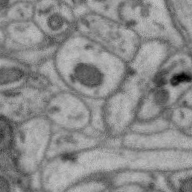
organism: Zebra finch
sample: Brain